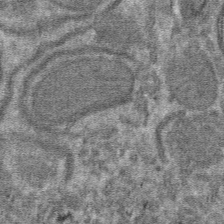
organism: Mouse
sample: Mouse hepatocytes